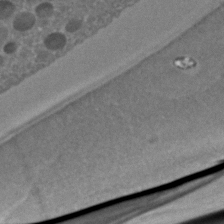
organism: C. elegans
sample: C. elegans embryo